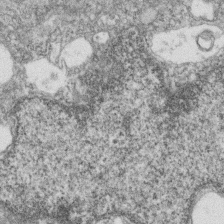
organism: Zebrafish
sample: Cilia; retinal pigment epithelium